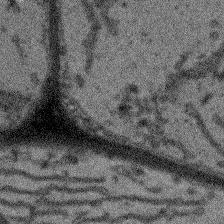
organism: Arabidopsis thaliana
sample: Root tip